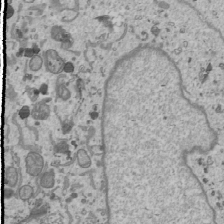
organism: Human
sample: Mitochondria in U2OS cells